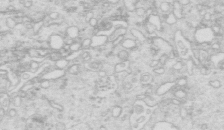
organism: Mouse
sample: Multiciliated cells